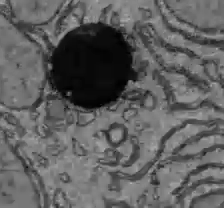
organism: C57BL Mouse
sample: Liver